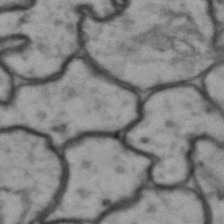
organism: Drosophila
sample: Brain